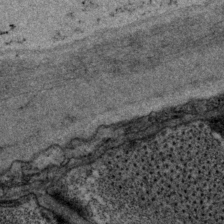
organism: P. pacificus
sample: Pharynx